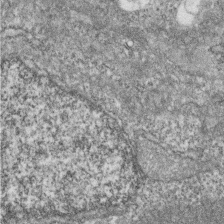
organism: Zebrafish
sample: Cilia; retinal pigment epithelium